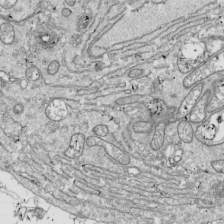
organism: Drosophila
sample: Cell division; meiosis; drosophila spermatocytes